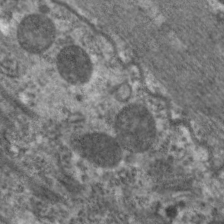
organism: C. elegans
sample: Pharynx